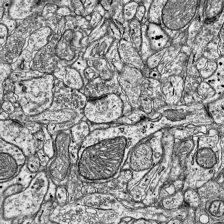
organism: Mouse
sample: Visual Cortex